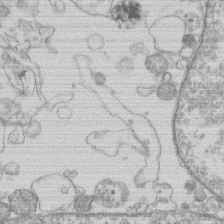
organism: Human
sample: Macrophage cells